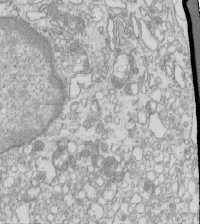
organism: Mouse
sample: Macrophages